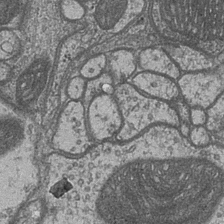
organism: Drosophila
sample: Optic medulla